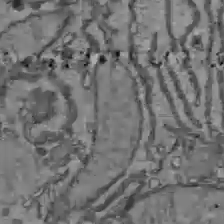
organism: C57BL Mouse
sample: Liver